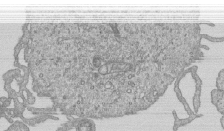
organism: Human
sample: MDA-MB-231 cells